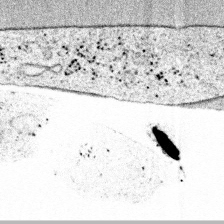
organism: Human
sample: HeLa cells